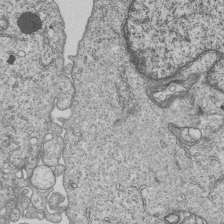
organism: Human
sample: MDA-MB-231 cells